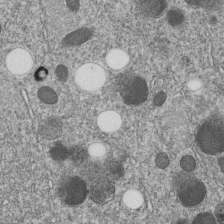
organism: C. elegans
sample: C. elegans embryo early stage